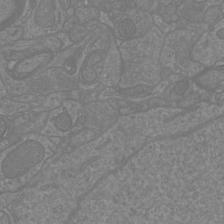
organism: Mouse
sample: Cortical neurons